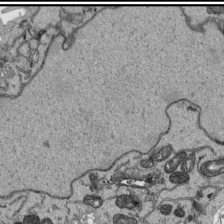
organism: Human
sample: Mitochondria in HCT116 cells